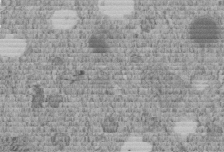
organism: C. elegans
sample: C. elegans embryo early stage